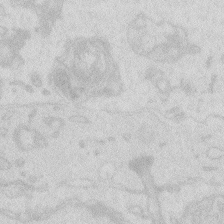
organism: Zebrafish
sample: Macrophage